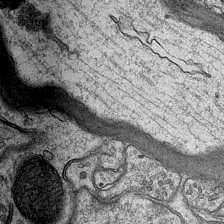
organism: Mouse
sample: CA1 Hippocampus